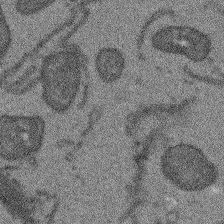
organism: Arabidopsis thaliana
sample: Root tip